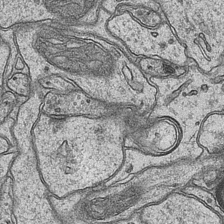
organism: Mouse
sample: CA1 Hippocampus